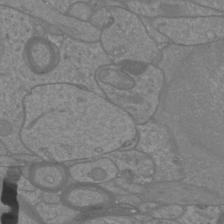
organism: Mouse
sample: Cortical neurons